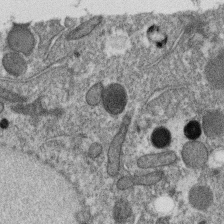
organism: C. elegans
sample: C. elegans oocyte; sperm cells